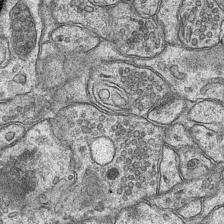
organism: Mouse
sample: CA1 Hippocampus